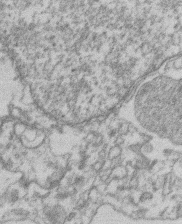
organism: Mouse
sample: T cell stromal cell synapse